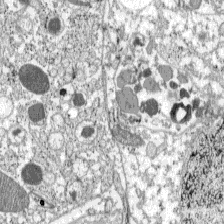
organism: C57BL Mouse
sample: Pancreatic islet